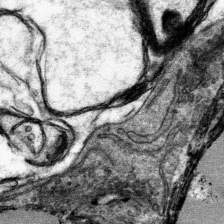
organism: Mouse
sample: Mouse hepatocytes